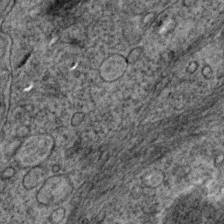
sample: Trachea